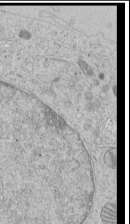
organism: Human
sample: Mitochondria in HCT116 cells